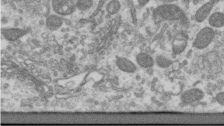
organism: Human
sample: Centriole in RPE cells